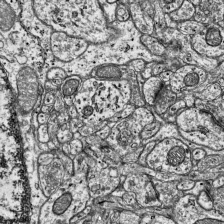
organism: Mouse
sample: Visual Cortex